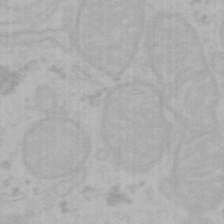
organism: Mouse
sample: Choroid plexus